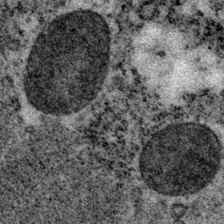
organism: P. pacificus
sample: Pharynx